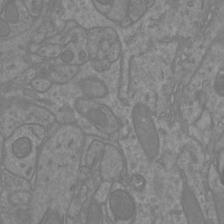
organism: Mouse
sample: Cortical neurons